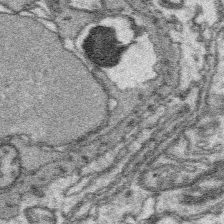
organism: Platynereis dumerilii